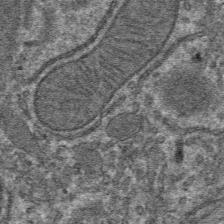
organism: Mouse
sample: Mouse hepatocytes